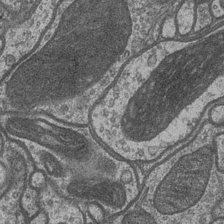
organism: Drosophila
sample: Optic medulla